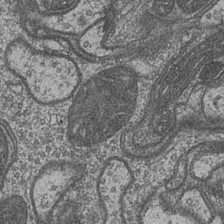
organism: Drosophila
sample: Optic medulla